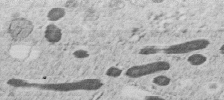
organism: C. elegans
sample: C. elegans embryo early stage